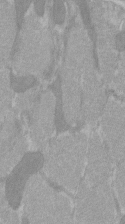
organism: C57BL Mouse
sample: Tibialis anterior muscle cell